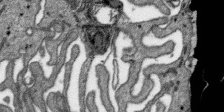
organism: Human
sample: Lung epithelial cells, uninfected (mock) control